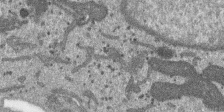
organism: Human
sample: Lung epithelial cells infected with SARS-CoV-2